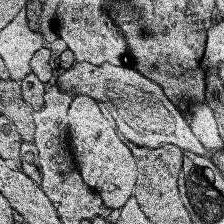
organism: Human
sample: Temporal Lobe